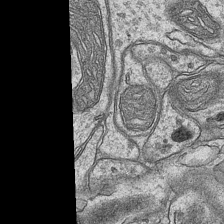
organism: Mouse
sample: CA1 Hippocampus